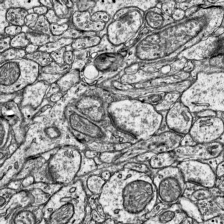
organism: Mouse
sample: Visual Cortex